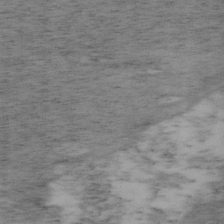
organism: Mouse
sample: OT-I killer T cells with ID8 ovarian cancer cells